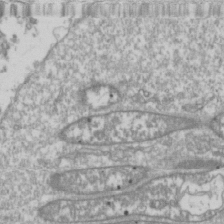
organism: Drosophila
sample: Cell division; meiosis; drosophila spermatocytes